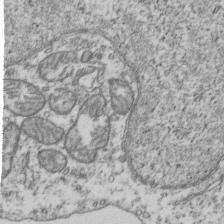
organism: Human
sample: Activated Jurkat CD4+ T cells